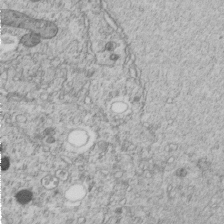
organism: C. elegans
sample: C. elegans embryo early stage